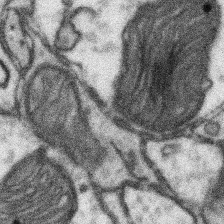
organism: Mouse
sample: Somatosensory cortex neuropil